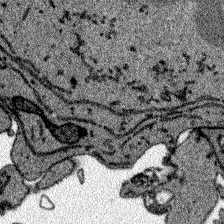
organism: Zebrafish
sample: Larval olfactory bulb